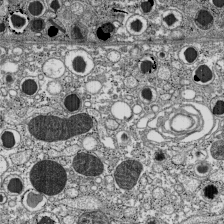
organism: C57BL Mouse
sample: Pancreatic islet